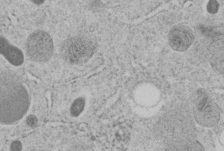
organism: C. elegans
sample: C. elegans embryo early stage